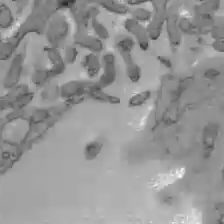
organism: C57BL Mouse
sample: Liver